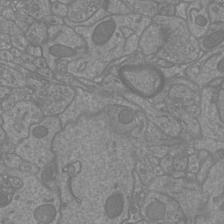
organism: Mouse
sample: Cortical neurons